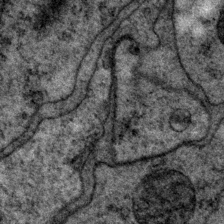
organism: P. pacificus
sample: Pharynx